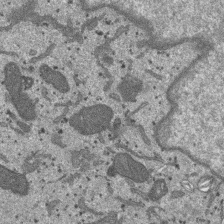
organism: Human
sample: Lung epithelial cells infected with SARS-CoV-2